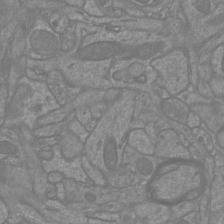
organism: Mouse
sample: Cortical neurons